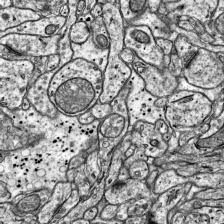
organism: Mouse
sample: Visual Cortex